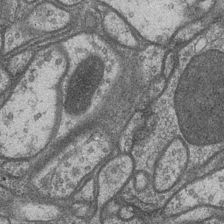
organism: Drosophila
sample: Optic medulla